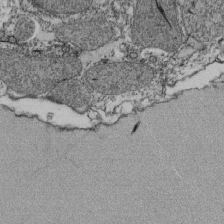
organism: Tetrahymena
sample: Cilia in tetrahymena